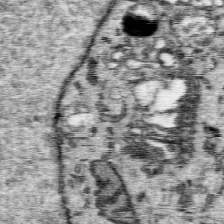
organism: Human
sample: HeLa cells